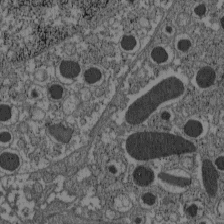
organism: C57BL Mouse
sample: Pancreatic islet